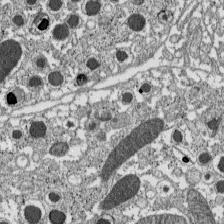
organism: C57BL Mouse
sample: Pancreatic islet